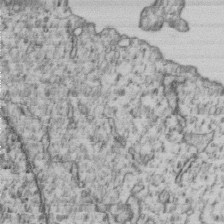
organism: Human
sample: MDA-MB-231 cells